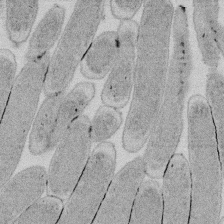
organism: E. coli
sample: Bacterial nucleoid